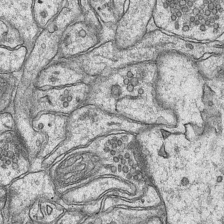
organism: Mouse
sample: CA1 Hippocampus